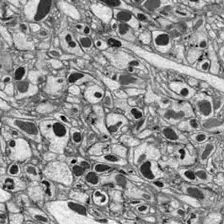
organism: Drosophila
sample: Optic lobe